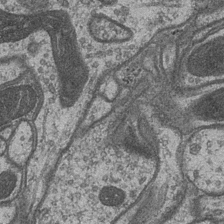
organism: Drosophila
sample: Optic medulla